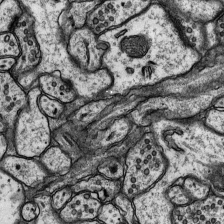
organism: Rat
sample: Hippocampus